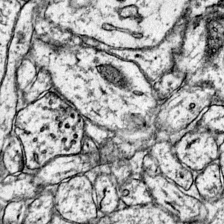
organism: Mouse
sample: Primary visual cortex